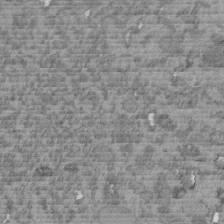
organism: C. elegans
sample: C. elegans embryo early stage